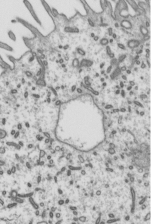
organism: Mouse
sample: Mouse epididymis efferent ductule cilia